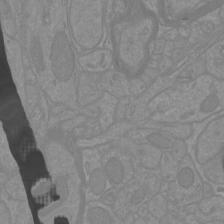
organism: Mouse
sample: Cortical neurons